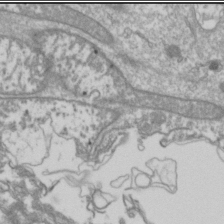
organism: Drosophila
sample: Cell division; meiosis; drosophila spermatocytes